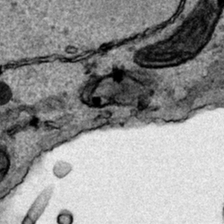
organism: Human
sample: Mitochondria in HCT116 cells